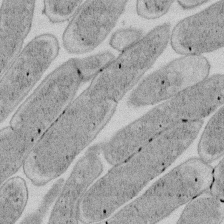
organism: E. coli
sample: Bacterial nucleoid